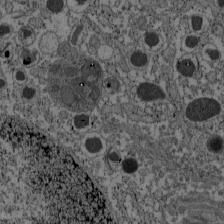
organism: C57BL Mouse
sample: Pancreatic islet